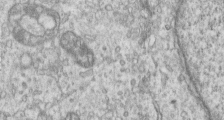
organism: Human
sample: Centriole in RPE cells